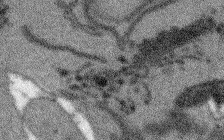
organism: Arabidopsis thaliana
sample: Root tip